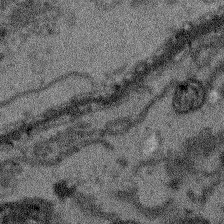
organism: Arabidopsis thaliana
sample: Root tip